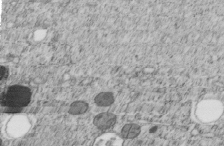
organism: C. elegans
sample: C. elegans embryo early stage